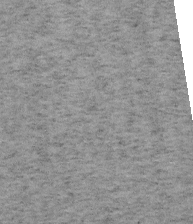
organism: Mouse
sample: OT-I killer T cells with ID8 ovarian cancer cells